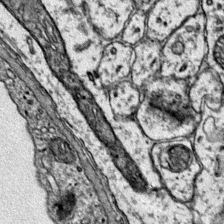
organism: Mouse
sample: Primary visual cortex